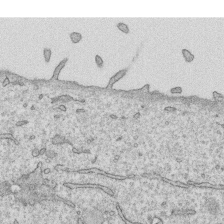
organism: Human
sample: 1205lu cells